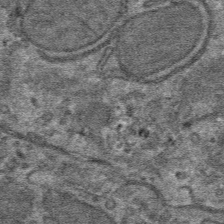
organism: Mouse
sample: Mouse hepatocytes